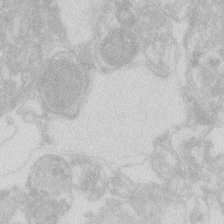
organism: Zebrafish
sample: Macrophage